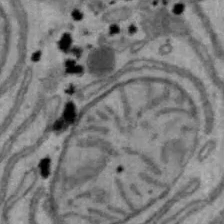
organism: Mouse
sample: Liver